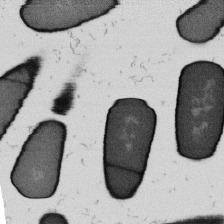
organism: B. subtilis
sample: Bacterial spore